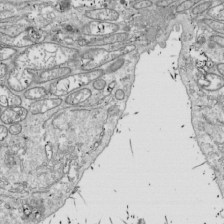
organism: Drosophila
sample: Cell division; meiosis; drosophila spermatocytes